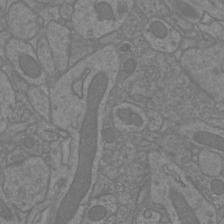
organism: Mouse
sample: Cortical neurons